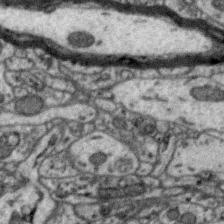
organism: Zebra finch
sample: Brain